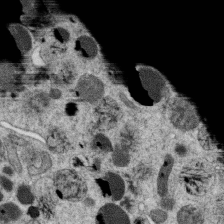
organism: C. elegans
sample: C. elegans oocyte; sperm cells